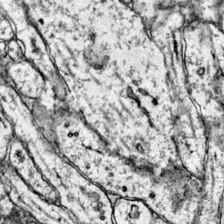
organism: Mouse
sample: Primary visual cortex